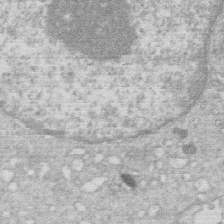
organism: Human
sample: Macrophage cells